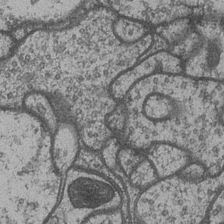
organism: Drosophila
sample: Optic medulla